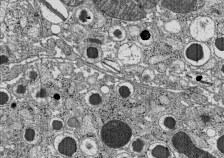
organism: C57BL Mouse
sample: Pancreatic islet